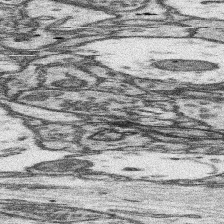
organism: Mouse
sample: Somatosensory cortex neuropil